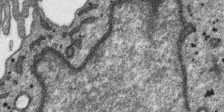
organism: Human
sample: Lung epithelial cells infected with SARS-CoV-2